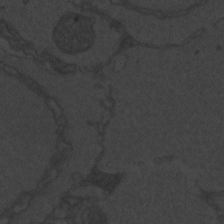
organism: Zebrafish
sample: Macrophage infected with Toxoplasma gondii